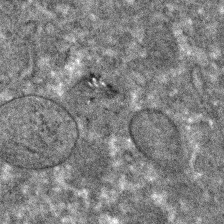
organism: C. elegans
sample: C. elegans embryo